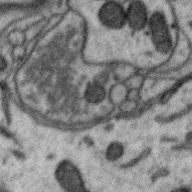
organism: Zebra finch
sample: Brain